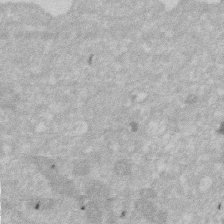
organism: Human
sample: HIV infected U937 cells